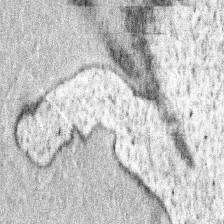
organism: Human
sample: HeLa cells